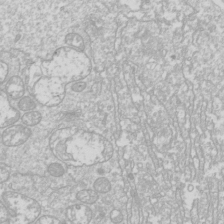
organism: Drosophila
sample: Cell division; meiosis; drosophila spermatocytes